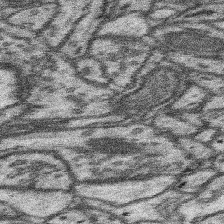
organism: Mouse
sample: Somatosensory cortex neuropil